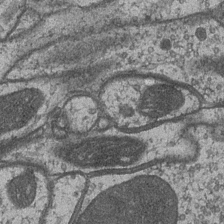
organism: Drosophila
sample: Optic medulla